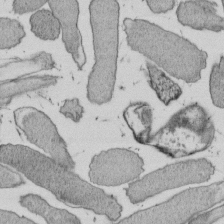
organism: E. coli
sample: Bacterial nucleoid